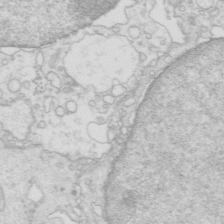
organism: Mouse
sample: Multiciliated cells